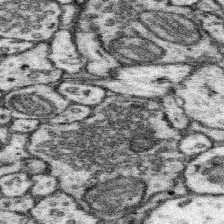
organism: Mouse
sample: Somatosensory cortex neuropil